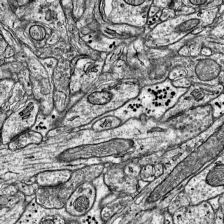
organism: Mouse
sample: Visual Cortex